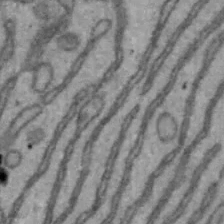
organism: Mouse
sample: Liver